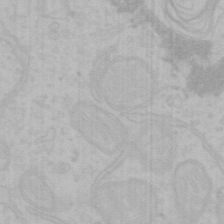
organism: Mouse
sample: Choroid plexus